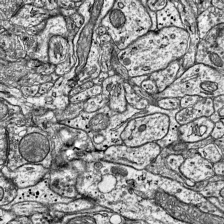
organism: Mouse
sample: Visual Cortex